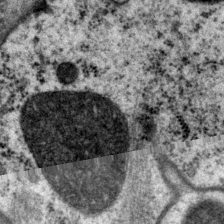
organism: P. pacificus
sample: Pharynx